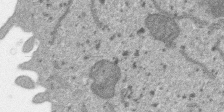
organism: Human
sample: Lung epithelial cells infected with SARS-CoV-2